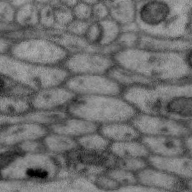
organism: Zebra finch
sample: Brain